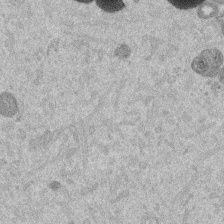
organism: Mouse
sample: Dividing mouse embryo 1 cell stage